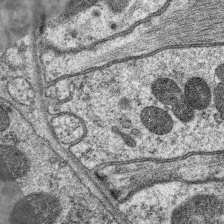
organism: C. elegans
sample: Pharynx